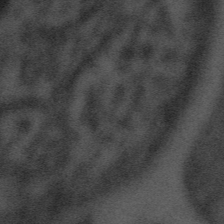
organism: Tuwongella immobilis